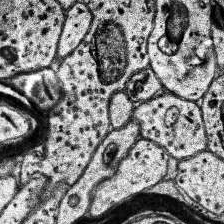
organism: Human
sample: Temporal Lobe